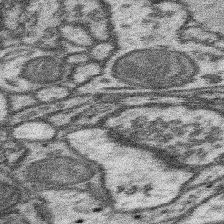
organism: Mouse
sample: Somatosensory cortex neuropil